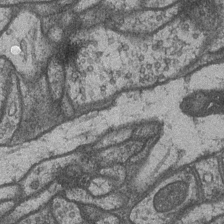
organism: Drosophila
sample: Optic medulla